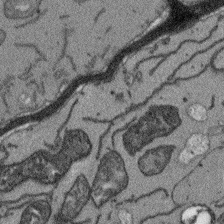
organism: Arabidopsis thaliana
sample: Root tip